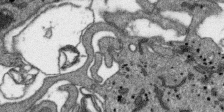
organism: Human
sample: Lung epithelial cells, uninfected (mock) control